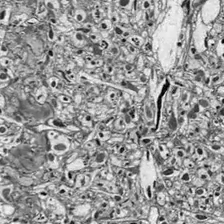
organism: Drosophila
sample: Optic lobe